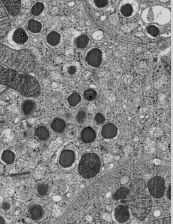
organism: C57BL Mouse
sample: Pancreatic islet